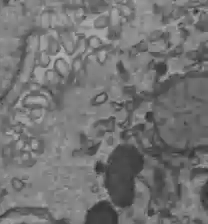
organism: C57BL Mouse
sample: Liver